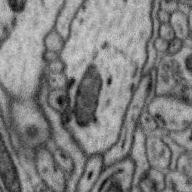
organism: Zebra finch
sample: Brain